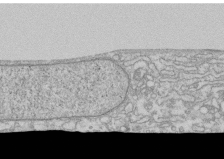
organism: Human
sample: CRL-1474